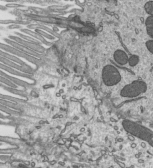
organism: Mouse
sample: Mouse epididymis efferent ductule cilia